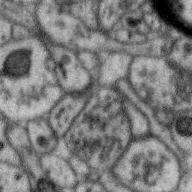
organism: Zebra finch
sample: Brain